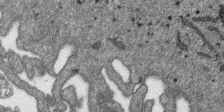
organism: Human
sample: Lung epithelial cells infected with SARS-CoV-2